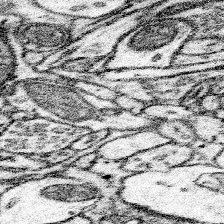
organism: Mouse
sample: Somatosensory cortex neuropil